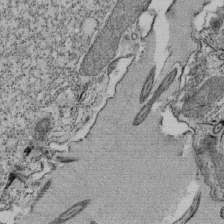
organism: Tetrahymena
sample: Cilia in tetrahymena